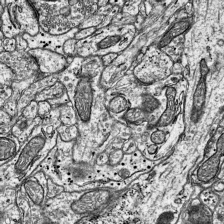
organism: Mouse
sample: Visual Cortex